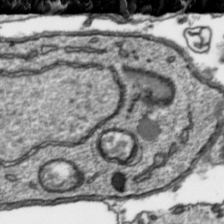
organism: Toxoplasma gondii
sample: Parasites in a vacuole inside a host cell